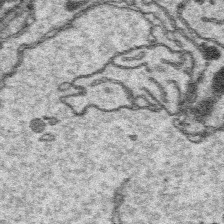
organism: Platynereis dumerilii